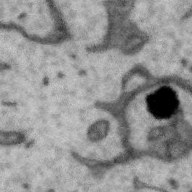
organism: Zebra finch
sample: Brain